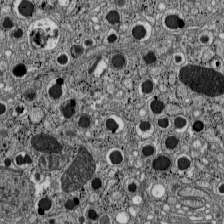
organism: C57BL Mouse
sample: Pancreatic islet